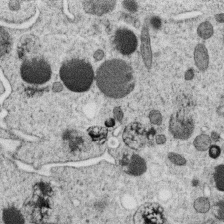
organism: C. elegans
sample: C. elegans oocyte; sperm cells